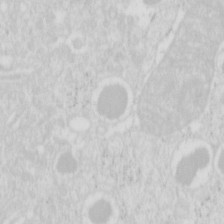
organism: Mouse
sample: Pancreas